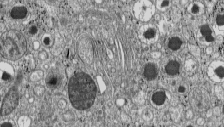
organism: C57BL Mouse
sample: Pancreatic islet